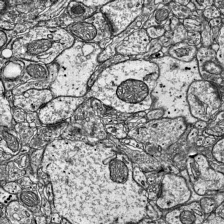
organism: Mouse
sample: Visual Cortex